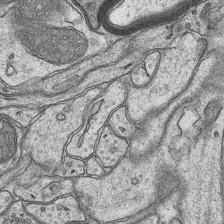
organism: Mouse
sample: CA1 Hippocampus